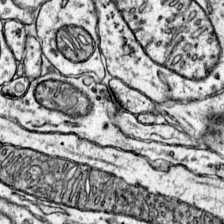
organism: Mouse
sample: Primary visual cortex